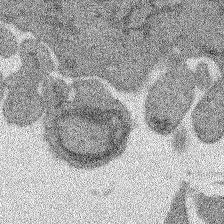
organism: Human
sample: HeLa cells